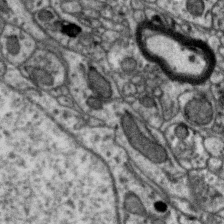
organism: Zebra finch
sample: Brain